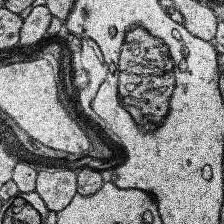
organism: Human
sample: Temporal Lobe